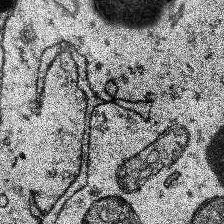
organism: Human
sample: Temporal Lobe